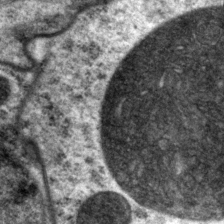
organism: P. pacificus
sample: Pharynx